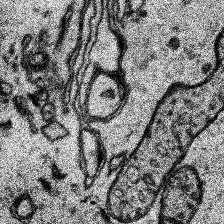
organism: Human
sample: Temporal Lobe